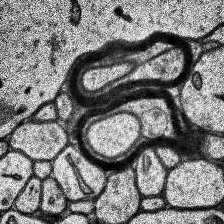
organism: Human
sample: Temporal Lobe